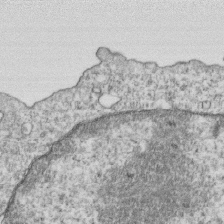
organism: Mouse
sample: Activated OT-1 CD8+ T cells